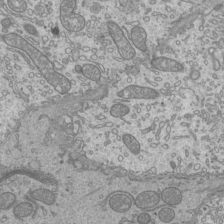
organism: Mouse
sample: Cilia; mouse epididymis